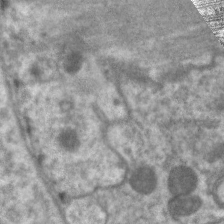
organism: C. elegans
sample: Pharynx